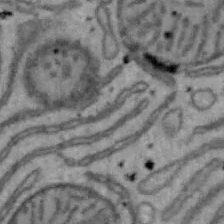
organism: Mouse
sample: Liver